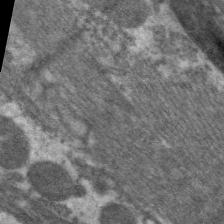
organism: C. elegans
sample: Pharynx